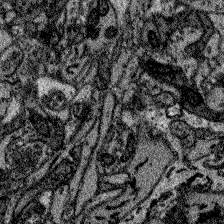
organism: Zebrafish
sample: Larval olfactory bulb